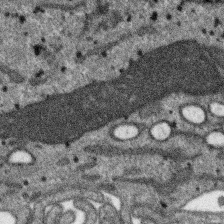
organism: Human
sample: Lung epithelial cells infected with SARS-CoV-2